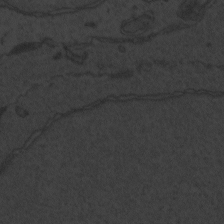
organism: Zebrafish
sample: Macrophage infected with Toxoplasma gondii